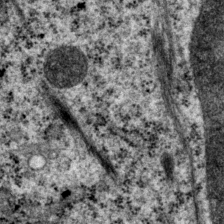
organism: P. pacificus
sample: Pharynx